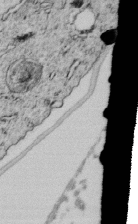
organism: C. elegans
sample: C. elegans embryo early stage